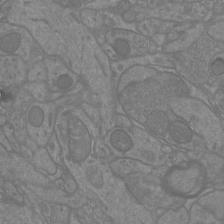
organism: Mouse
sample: Cortical neurons